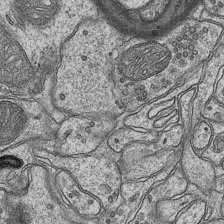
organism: Mouse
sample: CA1 Hippocampus